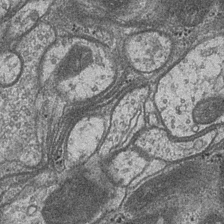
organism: Drosophila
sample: Optic medulla